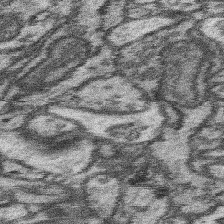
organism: Mouse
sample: Somatosensory cortex neuropil